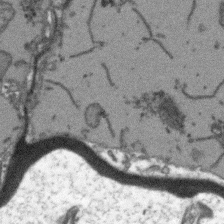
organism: Arabidopsis thaliana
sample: Root tip